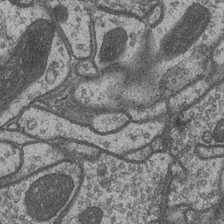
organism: Drosophila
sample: Optic medulla